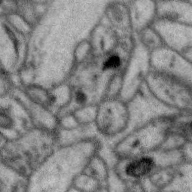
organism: Zebra finch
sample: Brain